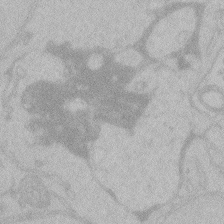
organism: Zebrafish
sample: Macrophage infected with Toxoplasma gondii